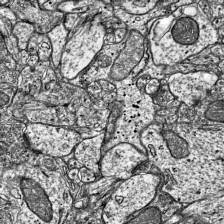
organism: Mouse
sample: Visual Cortex